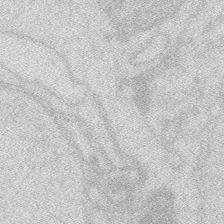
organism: Zebrafish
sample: Macrophage